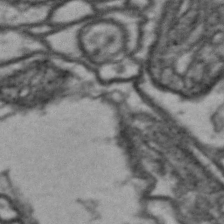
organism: Drosophila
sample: Brain